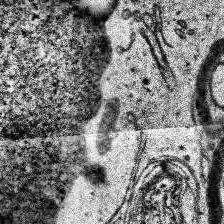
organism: Human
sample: Temporal Lobe